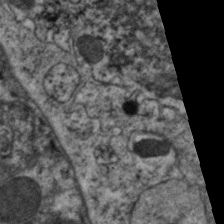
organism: C. elegans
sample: Pharynx